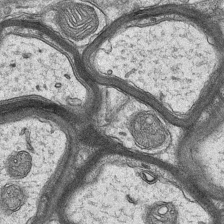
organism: Mouse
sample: CA1 Hippocampus